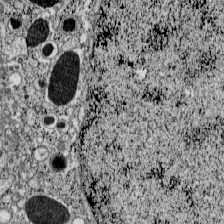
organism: C57BL Mouse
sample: Pancreatic islet